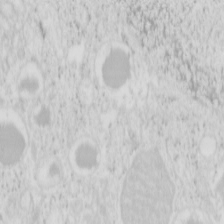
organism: Mouse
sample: Pancreas